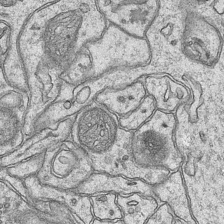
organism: Mouse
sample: CA1 Hippocampus